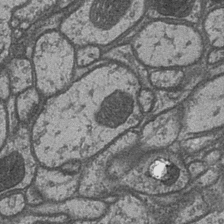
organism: Drosophila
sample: Optic medulla